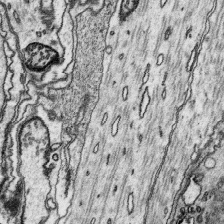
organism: Platynereis dumerilii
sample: Parapodia